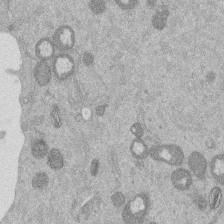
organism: Mouse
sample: Dividing mouse embryo 1 cell stage